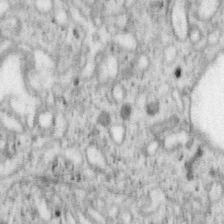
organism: Mouse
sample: OT-I killer T cells with ID8 ovarian cancer cells